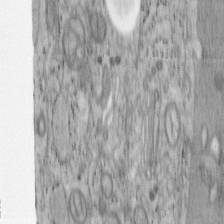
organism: Human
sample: HeLa cells